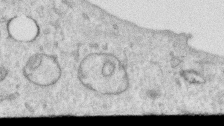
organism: Human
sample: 1205lu cells